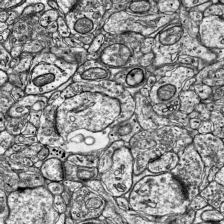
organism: Mouse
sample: Visual Cortex